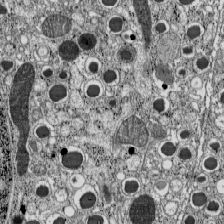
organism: C57BL Mouse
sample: Pancreatic islet